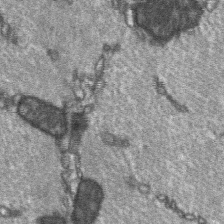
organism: C57BL Mouse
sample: Soleus